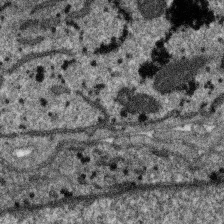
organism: Human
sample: Lung epithelial cells infected with SARS-CoV-2